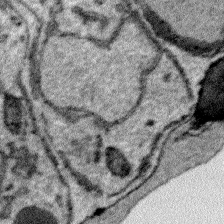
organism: Plasmodium falciparum